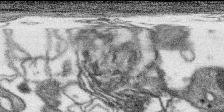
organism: Human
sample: Lung epithelial cells infected with SARS-CoV-2